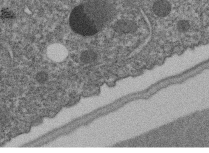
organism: C. elegans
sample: C. elegans embryo early stage